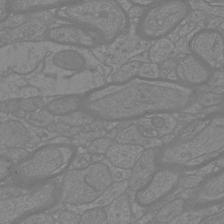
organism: Mouse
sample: Cortical neurons